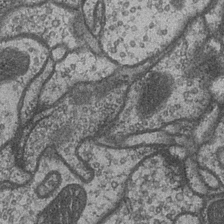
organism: Drosophila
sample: Optic medulla